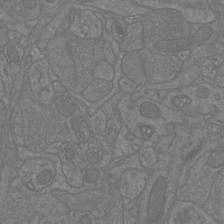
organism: Mouse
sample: Cortical neurons